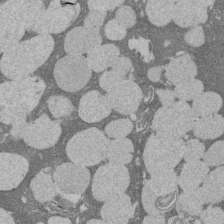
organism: Rat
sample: Salivary granule